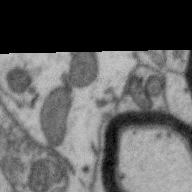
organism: Zebra finch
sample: Brain